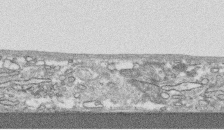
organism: Human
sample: CRL-1474